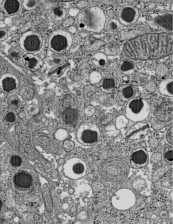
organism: C57BL Mouse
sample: Pancreatic islet